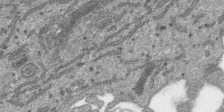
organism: Human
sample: Lung epithelial cells infected with SARS-CoV-2